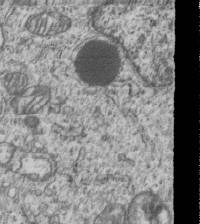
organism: Human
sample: MDA-MB-231 cells